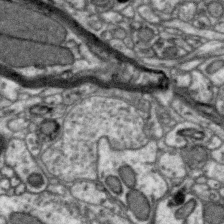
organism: Zebra finch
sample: Brain